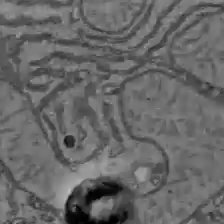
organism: C57BL Mouse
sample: Liver